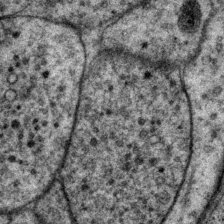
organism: P. pacificus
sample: Pharynx